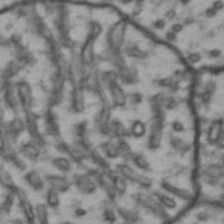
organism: Drosophila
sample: Brain